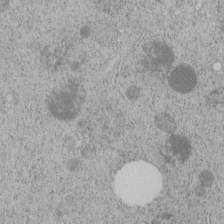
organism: C. elegans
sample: C. elegans embryo early stage